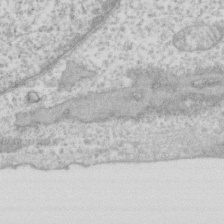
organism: Human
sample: Fibroblast cells